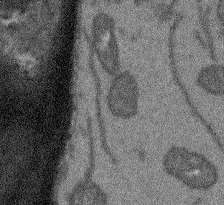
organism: Arabidopsis thaliana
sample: Root tip